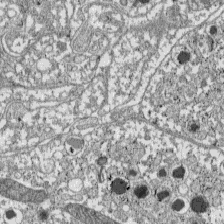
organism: C57BL Mouse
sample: Pancreatic islet